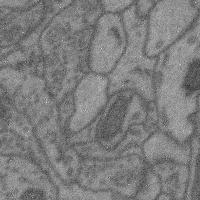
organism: Mouse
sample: Cerebral cortex